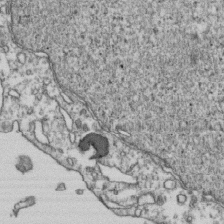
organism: Human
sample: Activated Jurkat CD4+ T cells